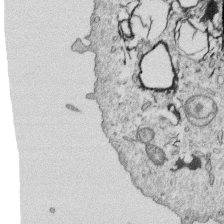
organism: Human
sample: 1205lu cells